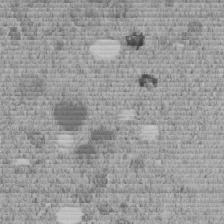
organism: C. elegans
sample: C. elegans embryo early stage